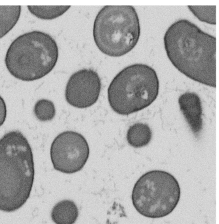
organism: B. subtilis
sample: Bacterial spore